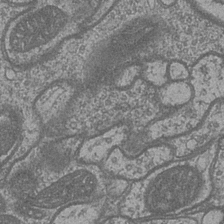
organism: Drosophila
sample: Optic medulla